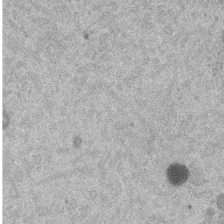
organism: Mouse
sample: Dividing mouse embryo 1 cell stage